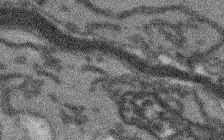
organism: Arabidopsis thaliana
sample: Root tip